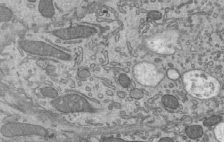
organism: Mouse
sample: Mouse epididymis efferent ductule cilia